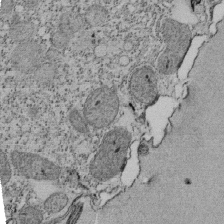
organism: Tetrahymena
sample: Cilia in tetrahymena